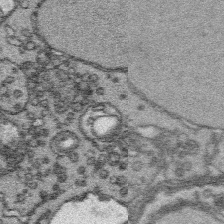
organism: Platynereis dumerilii